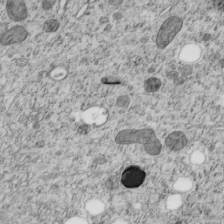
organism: C. elegans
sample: C. elegans embryo early stage